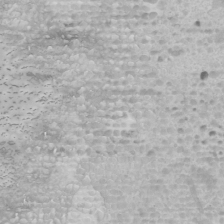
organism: Human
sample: Mitochondria in U2OS cells